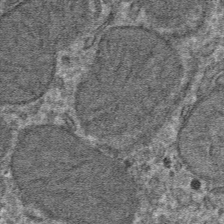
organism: Mouse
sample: Mouse hepatocytes